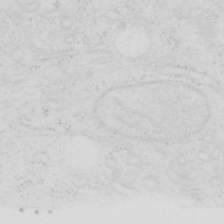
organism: Human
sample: SUM-159 cell